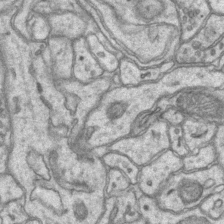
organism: Mouse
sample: CA1 Hippocampus